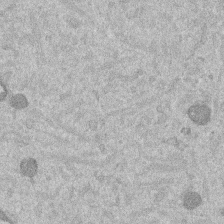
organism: Mouse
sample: Dividing mouse embryo 1 cell stage